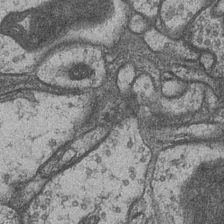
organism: Drosophila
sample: Optic medulla